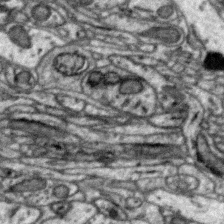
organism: Zebra finch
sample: Brain